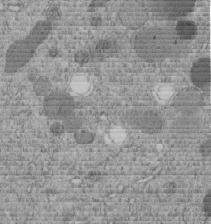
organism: C. elegans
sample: C. elegans embryo early stage